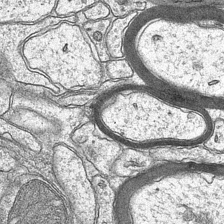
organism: Mouse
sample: CA1 Hippocampus